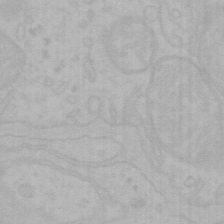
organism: Mouse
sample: Choroid plexus